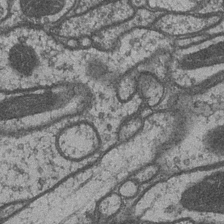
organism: Drosophila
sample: Optic medulla